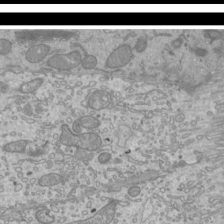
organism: Mouse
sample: Cilia; mouse epididymis